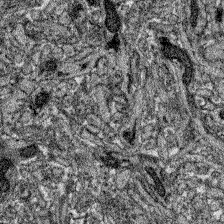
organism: Zebrafish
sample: Larval olfactory bulb